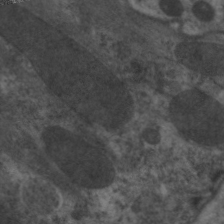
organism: C. elegans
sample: Pharynx